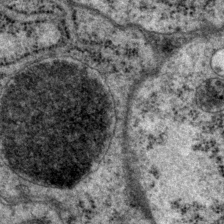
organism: P. pacificus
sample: Pharynx